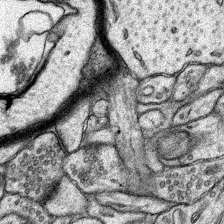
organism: Rat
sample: Hippocampus